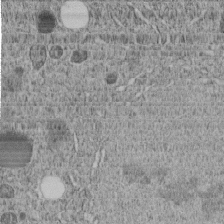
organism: C. elegans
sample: C. elegans embryo early stage